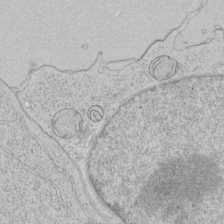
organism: Human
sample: Mitochondria in HCT116 cells